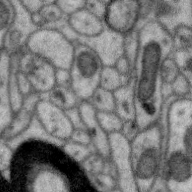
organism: Zebra finch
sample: Brain